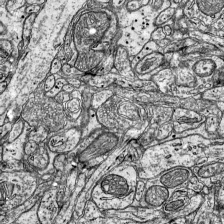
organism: Mouse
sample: Visual Cortex